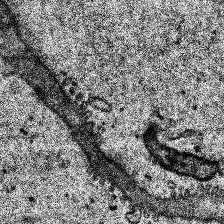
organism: Human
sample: Temporal Lobe